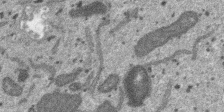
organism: Human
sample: Lung epithelial cells infected with SARS-CoV-2